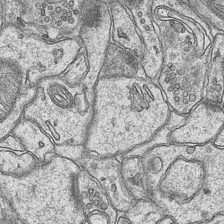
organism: Mouse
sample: CA1 Hippocampus